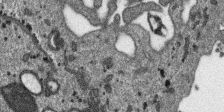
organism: Human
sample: Lung epithelial cells infected with SARS-CoV-2